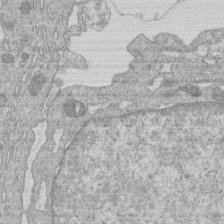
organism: Human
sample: Macrophage cells